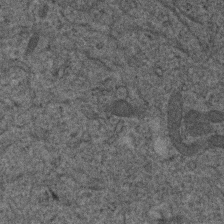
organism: Human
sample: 1205lu cells